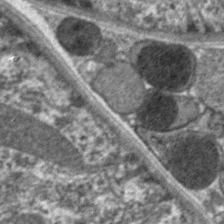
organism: C. elegans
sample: Pharynx